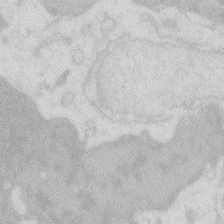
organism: Zebrafish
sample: Macrophage